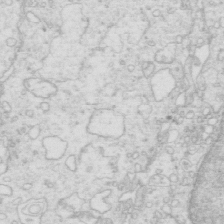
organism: Mouse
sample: Multiciliated cells